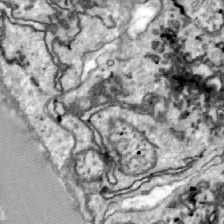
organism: Zebrafish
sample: Actinotrichia fibers